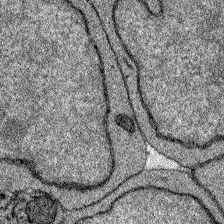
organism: Zebrafish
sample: Larval olfactory bulb